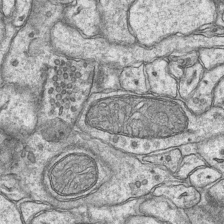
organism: Mouse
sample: CA1 Hippocampus